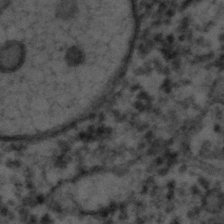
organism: C. elegans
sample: C. elegans embryo